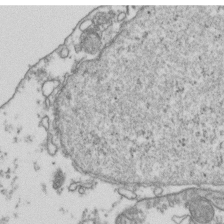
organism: Human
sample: Activated Jurkat CD4+ T cells